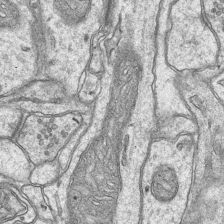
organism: Mouse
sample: CA1 Hippocampus